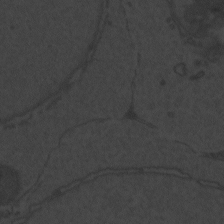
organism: Zebrafish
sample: Macrophage infected with Toxoplasma gondii